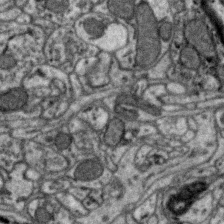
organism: Zebra finch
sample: Brain